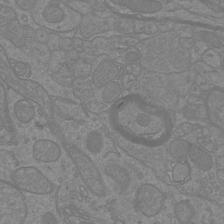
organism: Mouse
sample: Cortical neurons